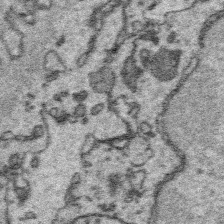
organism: Platynereis dumerilii